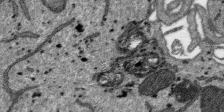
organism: Human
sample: Lung epithelial cells, uninfected (mock) control